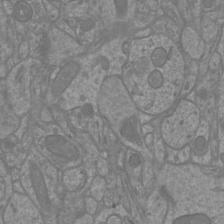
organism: Mouse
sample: Cortical neurons